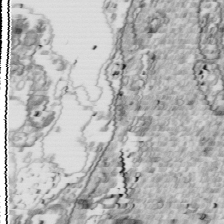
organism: Drosophila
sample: Cell division; meiosis; drosophila spermatocytes